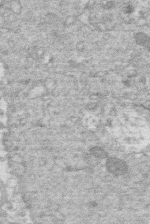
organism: Human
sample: Macrophage cells